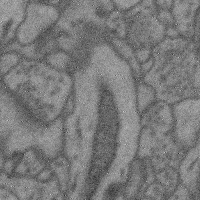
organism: Mouse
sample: Cerebral cortex